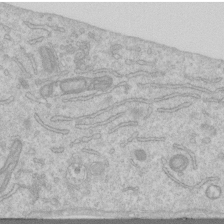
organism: Human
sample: Centriole in RPE cells